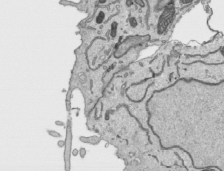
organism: Human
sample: Mitochondria in HCT116 cells